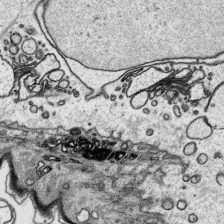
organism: Platynereis dumerilii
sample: Parapodia